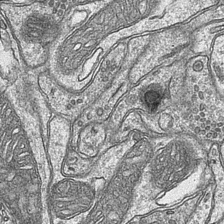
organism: Mouse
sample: CA1 Hippocampus